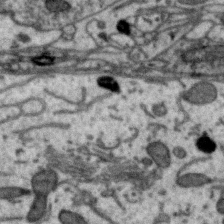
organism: Zebra finch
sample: Brain